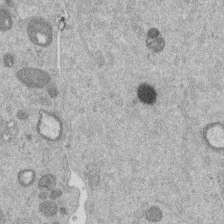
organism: Mouse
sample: Dividing mouse embryo 1 cell stage